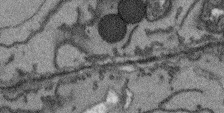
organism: Arabidopsis thaliana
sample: Root tip